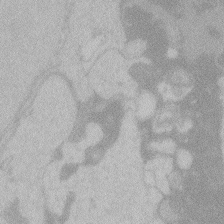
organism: Zebrafish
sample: Macrophage infected with Toxoplasma gondii